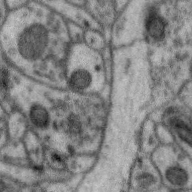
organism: Zebra finch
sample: Brain